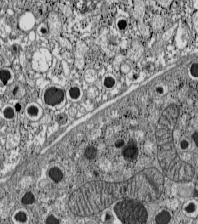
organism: C57BL Mouse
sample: Pancreatic islet